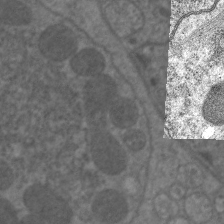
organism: C. elegans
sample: Pharynx